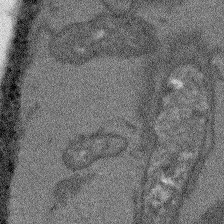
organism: Arabidopsis thaliana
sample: Root tip